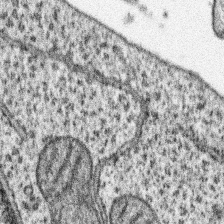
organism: Human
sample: HeLa cells